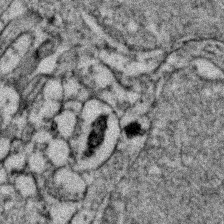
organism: Zebrafish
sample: Zebrafish embryo